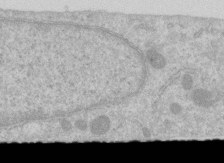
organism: Human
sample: Centriole in RPE cells